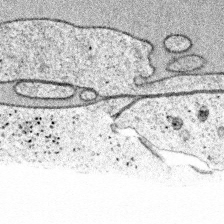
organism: Human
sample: HeLa cells